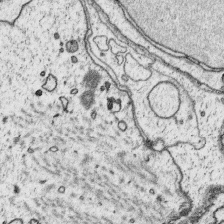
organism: Platynereis dumerilii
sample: Parapodia